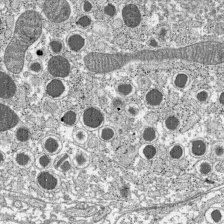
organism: C57BL Mouse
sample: Pancreatic islet